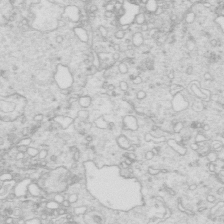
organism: Mouse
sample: Multiciliated cells